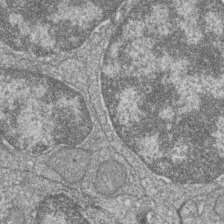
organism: Zebrafish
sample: Cilia; retinal pigment epithelium